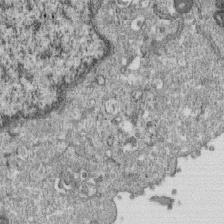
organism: African green monkey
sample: Vero E6 cells infected with SARS-CoV-2